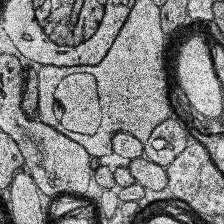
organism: Human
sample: Temporal Lobe